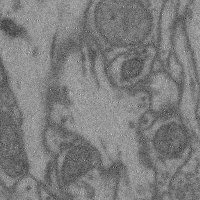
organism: Mouse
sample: Cerebral cortex